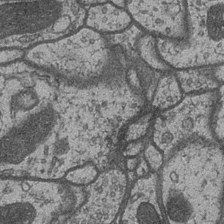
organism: Drosophila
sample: Optic medulla